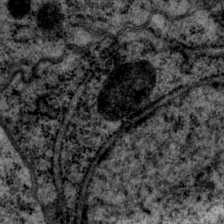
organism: P. pacificus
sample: Pharynx